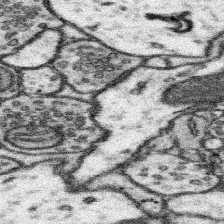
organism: Mouse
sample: Somatosensory cortex neuropil